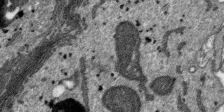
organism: Human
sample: Lung epithelial cells, uninfected (mock) control